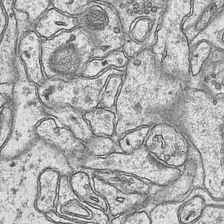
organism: Mouse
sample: CA1 Hippocampus